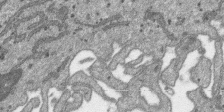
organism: Human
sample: Lung epithelial cells infected with SARS-CoV-2